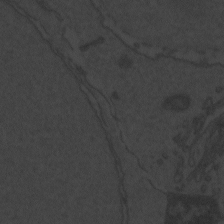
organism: Zebrafish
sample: Macrophage infected with Toxoplasma gondii